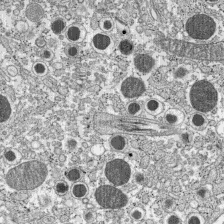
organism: C57BL Mouse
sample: Pancreatic islet